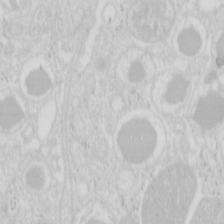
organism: Mouse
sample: Pancreas